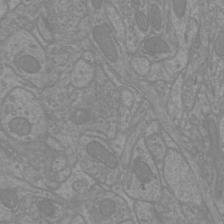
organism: Mouse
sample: Cortical neurons